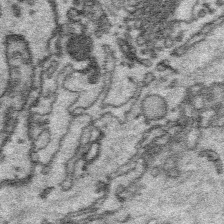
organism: Platynereis dumerilii